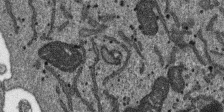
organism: Human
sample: Lung epithelial cells infected with SARS-CoV-2